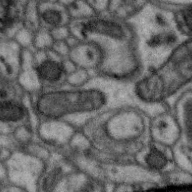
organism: Zebra finch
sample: Brain